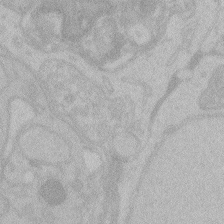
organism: Zebrafish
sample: Macrophage infected with Toxoplasma gondii